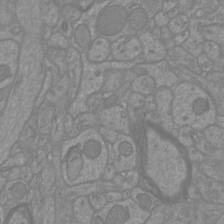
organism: Mouse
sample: Cortical neurons